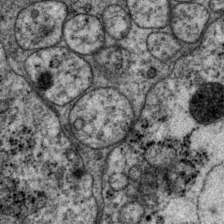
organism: P. pacificus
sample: Pharynx